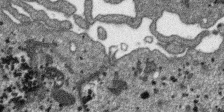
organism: Human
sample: Lung epithelial cells infected with SARS-CoV-2